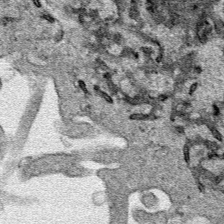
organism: Human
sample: Mitochondria in HCT116 cells